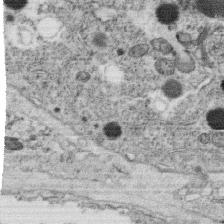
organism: C. elegans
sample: C. elegans oocyte; sperm cells